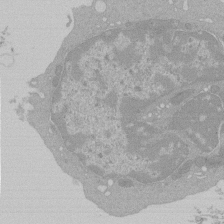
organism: Mouse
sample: Activated Pmel transgenic CD8+ T Cells